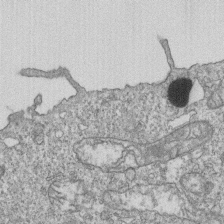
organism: Human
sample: HeLa cell HIV synapse